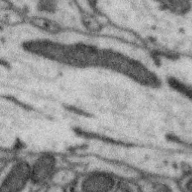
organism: Zebra finch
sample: Brain